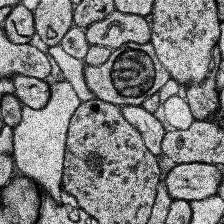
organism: Human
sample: Temporal Lobe